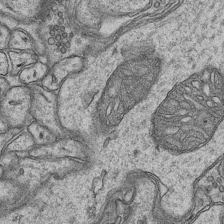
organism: Mouse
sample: CA1 Hippocampus